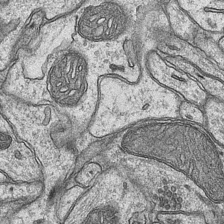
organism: Mouse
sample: CA1 Hippocampus